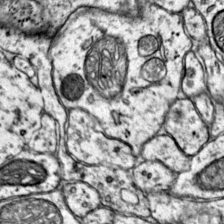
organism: Mouse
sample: Primary visual cortex